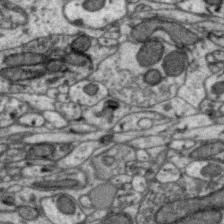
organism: Zebra finch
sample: Brain